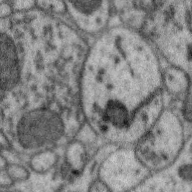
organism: Zebra finch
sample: Brain